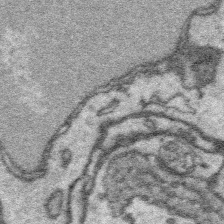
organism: Platynereis dumerilii